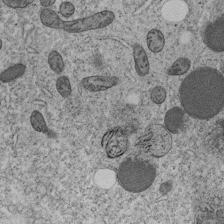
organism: C. elegans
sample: C. elegans embryo early stage